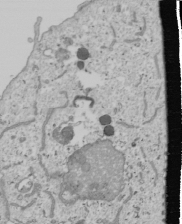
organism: Human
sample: Mitochondria in U2OS cells